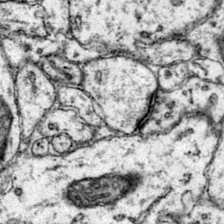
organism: Mouse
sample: Primary visual cortex